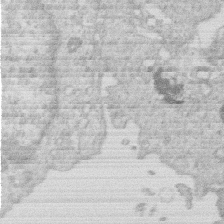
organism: Human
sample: Macrophage cells